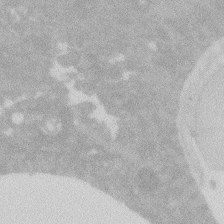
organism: Zebrafish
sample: Macrophage